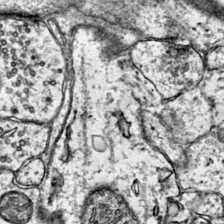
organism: Mouse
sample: Primary visual cortex